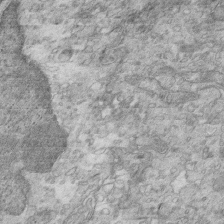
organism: Mouse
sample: Multiciliated cells